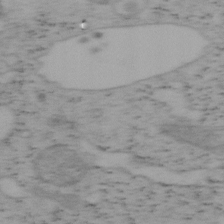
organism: Mouse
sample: OT-I killer T cells with ID8 ovarian cancer cells